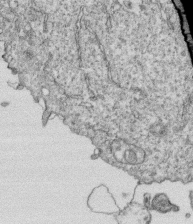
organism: Human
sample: HeLa cell HIV synapse